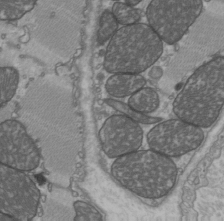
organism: C57BL Mouse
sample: Heart